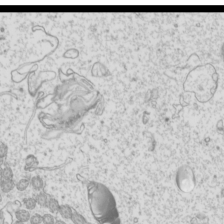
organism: Mouse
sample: Cilia; mouse epididymis